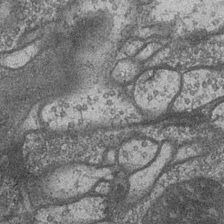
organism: Drosophila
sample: Optic medulla